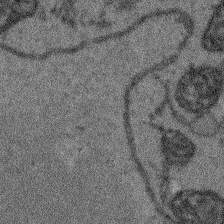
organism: Arabidopsis thaliana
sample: Root tip